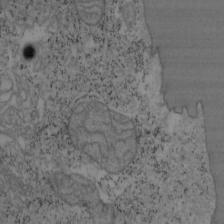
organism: Mouse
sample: OT-I killer T cells with ID8 ovarian cancer cells